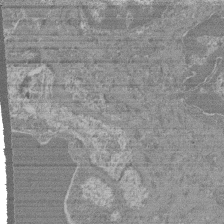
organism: Mouse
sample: Glomerulus